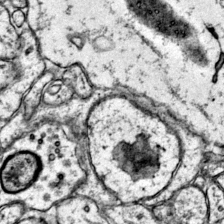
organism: Mouse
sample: Primary visual cortex